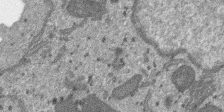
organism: Human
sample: Lung epithelial cells infected with SARS-CoV-2